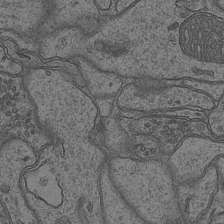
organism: Mouse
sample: CA1 Hippocampus